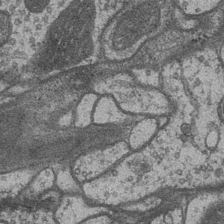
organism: Drosophila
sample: Optic medulla